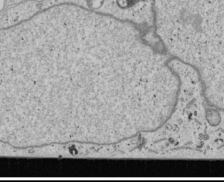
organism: Human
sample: Mitochondria in U2OS cells